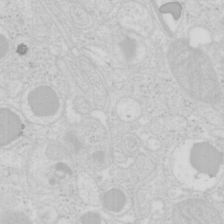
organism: Mouse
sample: Pancreas